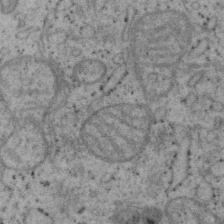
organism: Human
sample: HeLa cells